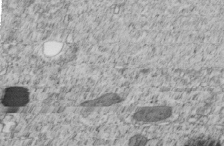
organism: C. elegans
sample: C. elegans embryo early stage